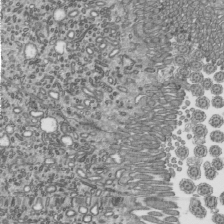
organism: Mouse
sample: Mouse epididymis efferent ductule cilia